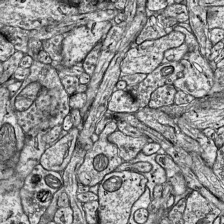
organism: Mouse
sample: Visual Cortex